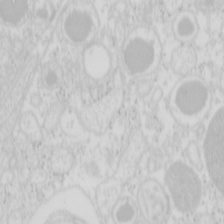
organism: Mouse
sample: Pancreas